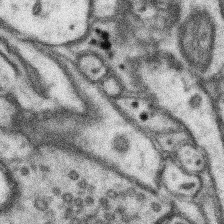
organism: Mouse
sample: Somatosensory cortex neuropil